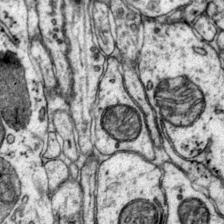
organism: Mouse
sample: Primary visual cortex